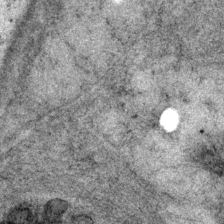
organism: P. pacificus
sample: Pharynx